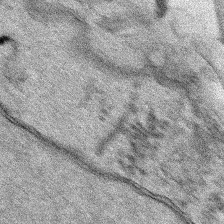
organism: Human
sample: Mitochondria in HCT116 cells